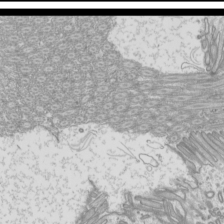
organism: Mouse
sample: Cilia; mouse epididymis